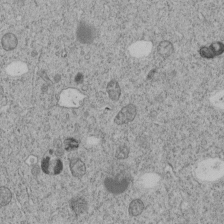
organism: C. elegans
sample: C. elegans embryo early stage